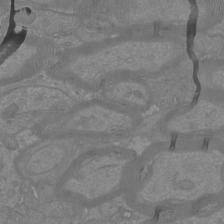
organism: Mouse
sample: Cortical neurons